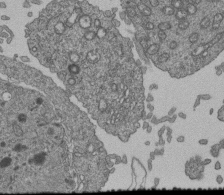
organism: Human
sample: Retinal organoid Rod and Cone cells